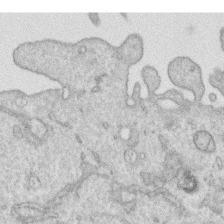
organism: Human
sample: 1205lu cells